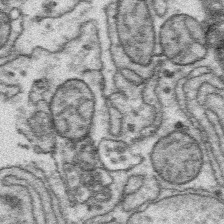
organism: Platynereis dumerilii